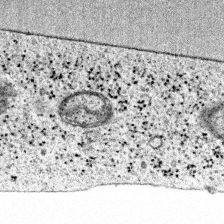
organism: Human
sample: HeLa cells